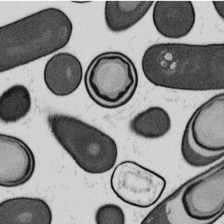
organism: B. subtilis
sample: Bacterial spore